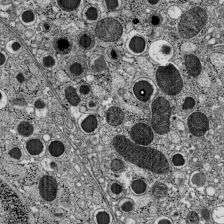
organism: C57BL Mouse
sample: Pancreatic islet